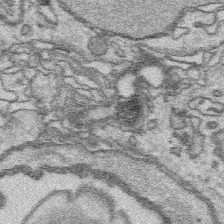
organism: Platynereis dumerilii